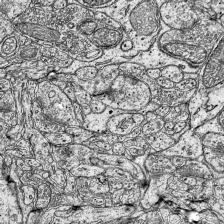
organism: Mouse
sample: Visual Cortex